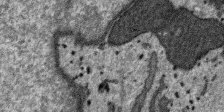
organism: Human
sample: Lung epithelial cells, uninfected (mock) control